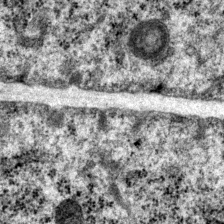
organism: P. pacificus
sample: Pharynx